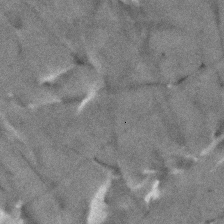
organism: Human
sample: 1205lu cells